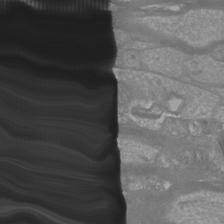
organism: Mouse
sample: Cortical neurons